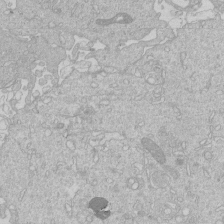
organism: Human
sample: Macrophage cells